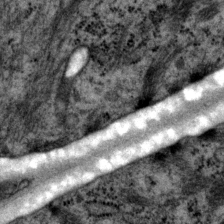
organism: P. pacificus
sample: Pharynx